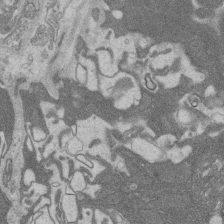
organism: Rat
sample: Salivary granule